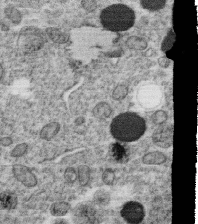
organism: C. elegans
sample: C. elegans oocyte; sperm cells